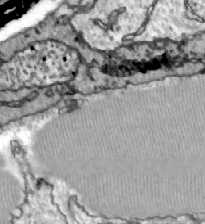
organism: Zebrafish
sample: Actinotrichia fibers